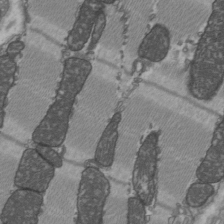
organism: C57BL Mouse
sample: Heart